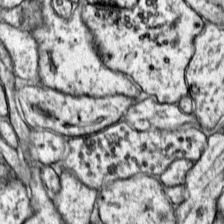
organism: Mouse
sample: Primary visual cortex